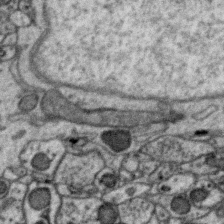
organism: Zebra finch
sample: Brain